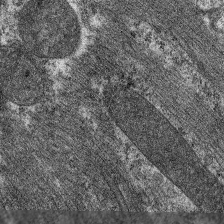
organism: C. elegans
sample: Pharynx